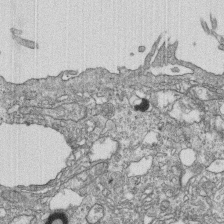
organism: Human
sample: HeLa cell HIV synapse